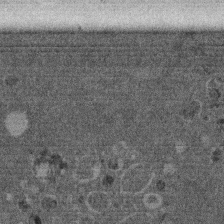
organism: Mouse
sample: Dividing mouse embryo 1 cell stage